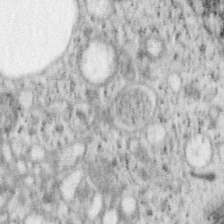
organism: Mouse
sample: OT-I killer T cells with ID8 ovarian cancer cells